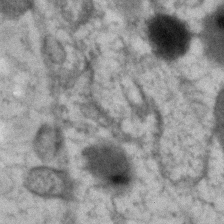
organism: Human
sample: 1205lu cells